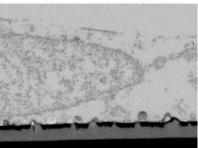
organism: Human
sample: U2-OS cells